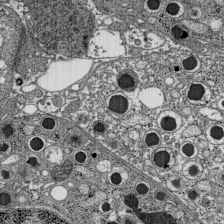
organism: C57BL Mouse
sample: Pancreatic islet